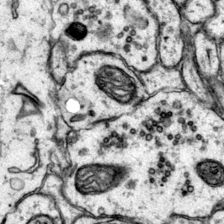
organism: Mouse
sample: Primary visual cortex